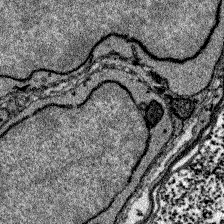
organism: Zebrafish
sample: Larval olfactory bulb